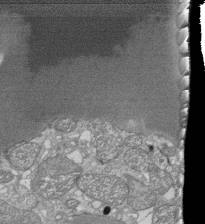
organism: Tetrahymena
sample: Cilia in tetrahymena